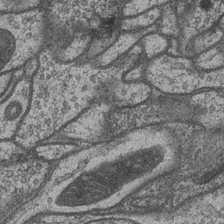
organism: Drosophila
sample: Optic medulla